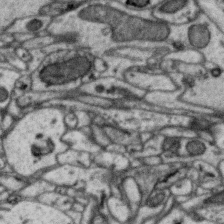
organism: Zebra finch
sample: Brain